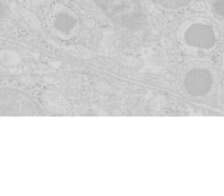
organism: Mouse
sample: Pancreas